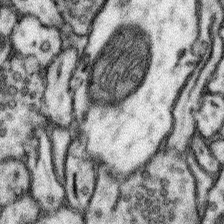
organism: Mouse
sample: Somatosensory cortex neuropil